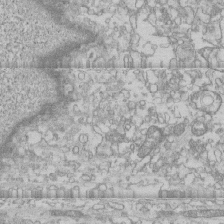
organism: Human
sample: CRL-1474